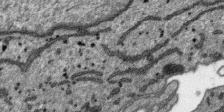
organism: Human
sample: Lung epithelial cells, uninfected (mock) control